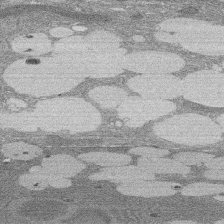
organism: Rat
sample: Salivary granule